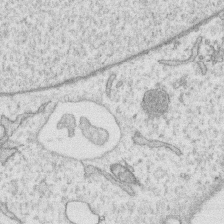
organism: Human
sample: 1205lu cells